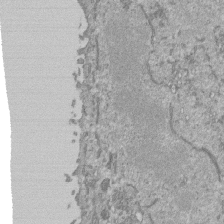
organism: Mouse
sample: ED-1 cell nuclei; centrioles